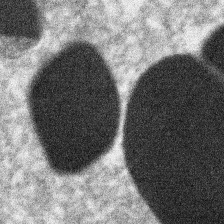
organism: Xenopus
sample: Cilia; centrioles in frog embryo cells